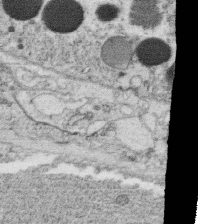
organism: C. elegans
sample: C. elegans oocyte; sperm cells